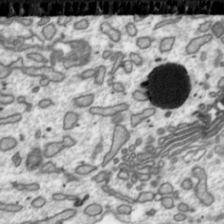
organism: Toxoplasma gondii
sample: Parasites in a vacuole inside a host cell